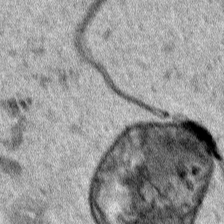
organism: Human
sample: Mitochondria in HCT116 cells